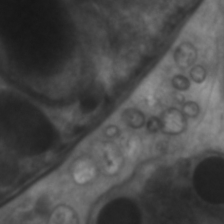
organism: C. elegans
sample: Pharynx